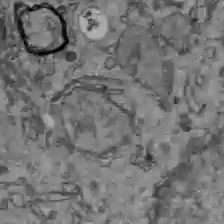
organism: C57BL Mouse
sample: Liver